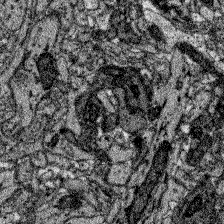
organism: Zebrafish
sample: Larval olfactory bulb